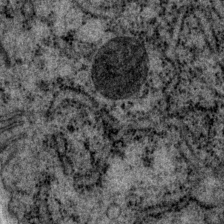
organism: P. pacificus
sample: Pharynx